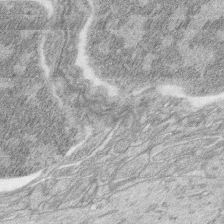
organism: Zebrafish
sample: synaptic ribbons in rod cells and cone cells